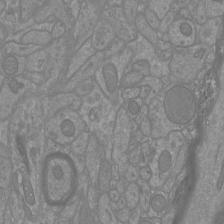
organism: Mouse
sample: Cortical neurons